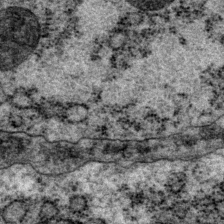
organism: P. pacificus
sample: Pharynx